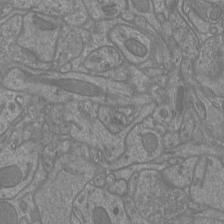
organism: Mouse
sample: Cortical neurons